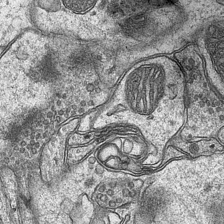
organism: Mouse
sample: CA1 Hippocampus